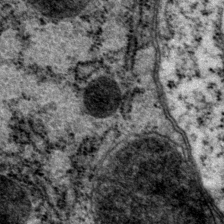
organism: P. pacificus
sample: Pharynx